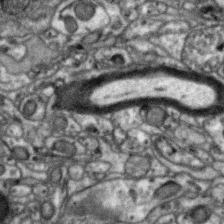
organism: Zebra finch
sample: Brain